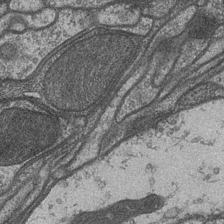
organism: Drosophila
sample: Optic medulla